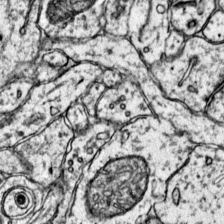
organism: Mouse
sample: Primary visual cortex